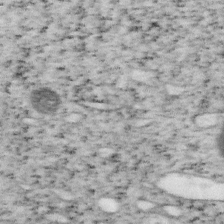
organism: Mouse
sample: OT-I killer T cells with ID8 ovarian cancer cells